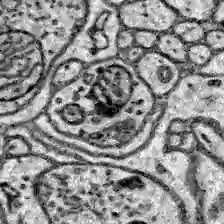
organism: Zebrafish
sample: Brain